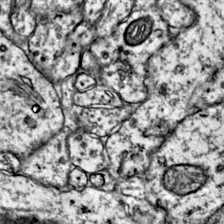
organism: Mouse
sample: Primary visual cortex